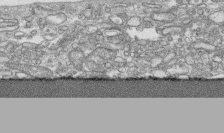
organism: Human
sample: CRL-1474